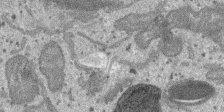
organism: Human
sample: Lung epithelial cells infected with SARS-CoV-2